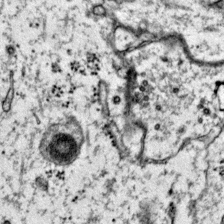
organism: Mouse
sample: Primary visual cortex